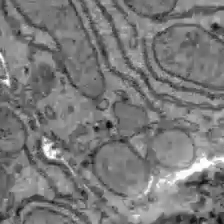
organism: C57BL Mouse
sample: Liver